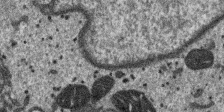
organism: Human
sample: Lung epithelial cells infected with SARS-CoV-2